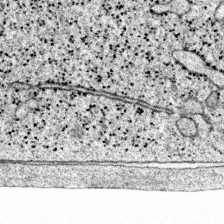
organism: Human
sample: HeLa cells